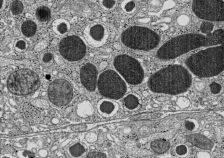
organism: C57BL Mouse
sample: Pancreatic islet